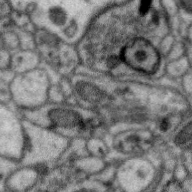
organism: Zebra finch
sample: Brain